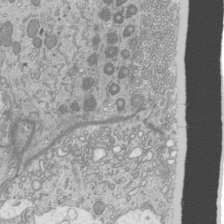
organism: Mouse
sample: Cilia; mouse epididymis